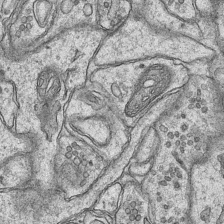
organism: Mouse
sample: CA1 Hippocampus